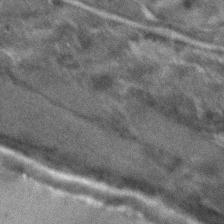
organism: C. elegans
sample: C. elegans embryo